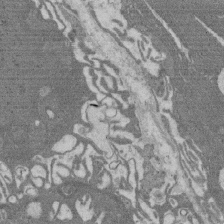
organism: Rat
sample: Salivary granule